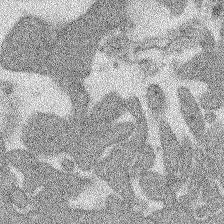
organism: Human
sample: HeLa cells